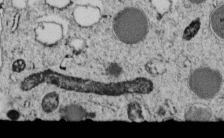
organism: C. elegans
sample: C. elegans embryo early stage